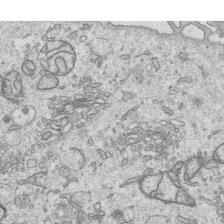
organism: Human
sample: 1205lu cells